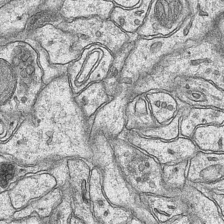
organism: Mouse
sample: CA1 Hippocampus